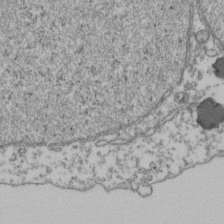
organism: Human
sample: Activated Jurkat CD4+ T cells